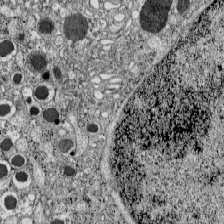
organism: C57BL Mouse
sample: Pancreatic islet